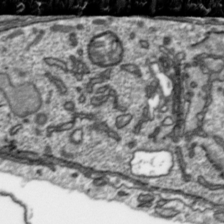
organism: Toxoplasma gondii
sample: Parasites in a vacuole inside a host cell